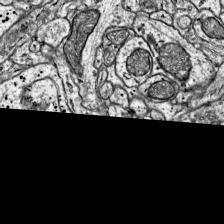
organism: Mouse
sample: Visual Cortex